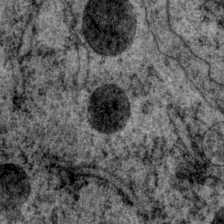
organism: P. pacificus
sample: Pharynx